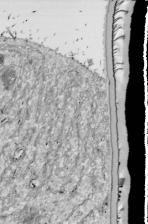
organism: Drosophila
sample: Cell division; meiosis; drosophila spermatocytes